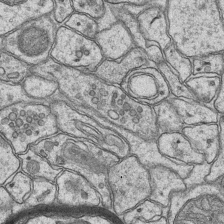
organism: Mouse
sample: CA1 Hippocampus